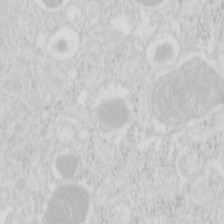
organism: Mouse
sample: Pancreas